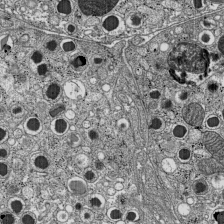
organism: C57BL Mouse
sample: Pancreatic islet